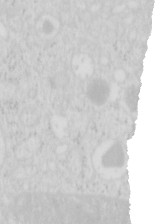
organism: Mouse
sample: Pancreas